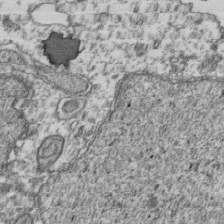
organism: Human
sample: Activated Jurkat CD4+ T cells